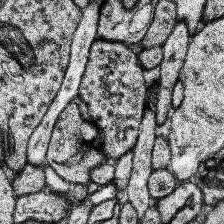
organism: Human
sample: Temporal Lobe